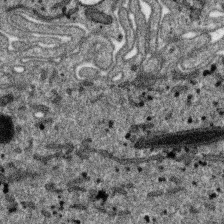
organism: Human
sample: Lung epithelial cells infected with SARS-CoV-2